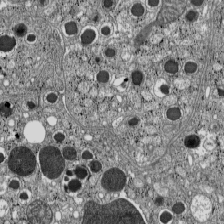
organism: C57BL Mouse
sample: Pancreatic islet